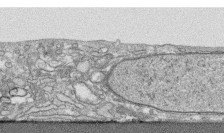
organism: Human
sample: CRL-1474